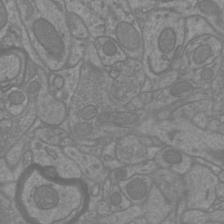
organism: Mouse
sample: Cortical neurons